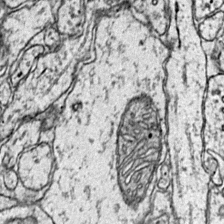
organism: Mouse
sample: Primary visual cortex